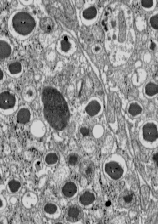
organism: C57BL Mouse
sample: Pancreatic islet